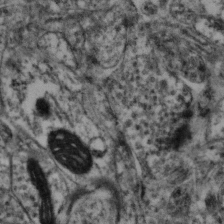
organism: Mouse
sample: Neocortex